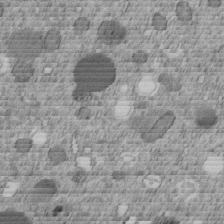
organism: C. elegans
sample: C. elegans embryo early stage